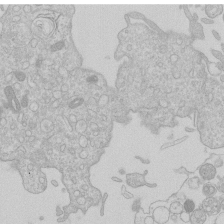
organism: Human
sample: Macrophage cells